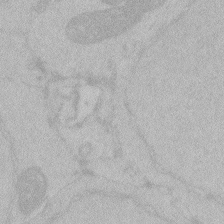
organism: Zebrafish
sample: Macrophage infected with Toxoplasma gondii